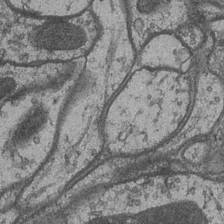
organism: Drosophila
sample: Optic medulla